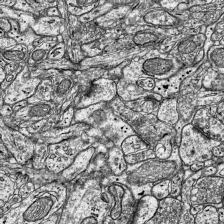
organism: Mouse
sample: Visual Cortex